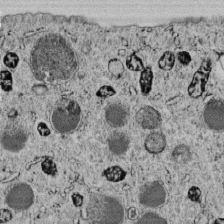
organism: C. elegans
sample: C. elegans embryo early stage